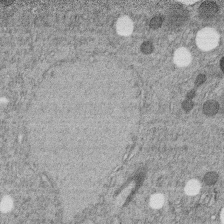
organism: C. elegans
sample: C. elegans embryo early stage